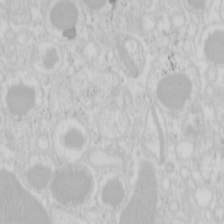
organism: Mouse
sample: Pancreas